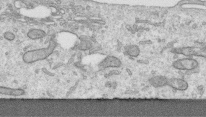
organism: Human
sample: Centriole in RPE cells